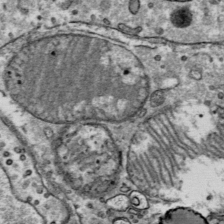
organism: Mouse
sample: Mouse Salivary gland